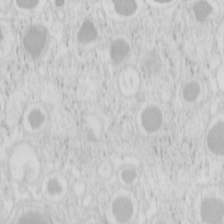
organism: Mouse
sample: Pancreas